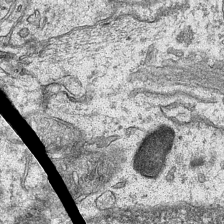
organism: Mouse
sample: CA1 Hippocampus